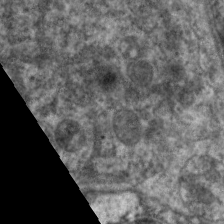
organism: C. elegans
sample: Pharynx